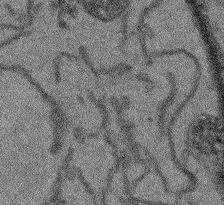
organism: Arabidopsis thaliana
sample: Root tip